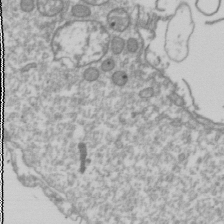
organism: Drosophila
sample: Cell division; meiosis; drosophila spermatocytes